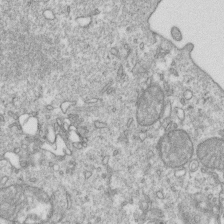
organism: Mouse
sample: Activated OT-1 CD8+ T cells